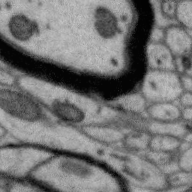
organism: Zebra finch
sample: Brain